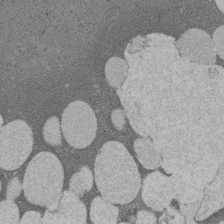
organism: Rat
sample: Salivary granule